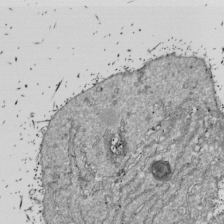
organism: Drosophila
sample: Cell division; meiosis; drosophila spermatocytes